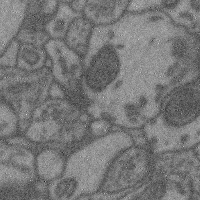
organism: Mouse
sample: Cerebral cortex